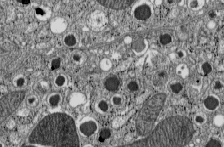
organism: C57BL Mouse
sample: Pancreatic islet